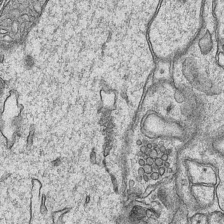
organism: Mouse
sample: CA1 Hippocampus